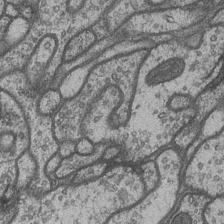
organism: Drosophila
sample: Optic medulla